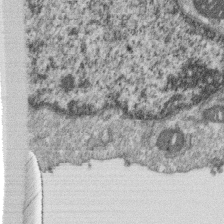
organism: African green monkey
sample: Vero E6 cells infected with SARS-CoV-2